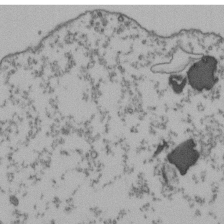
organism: Human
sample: Activated Jurkat CD4+ T cells